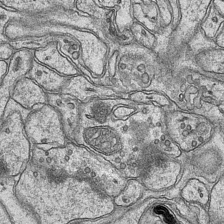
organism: Mouse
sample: CA1 Hippocampus